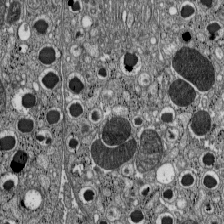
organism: C57BL Mouse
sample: Pancreatic islet